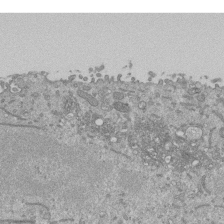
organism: Mouse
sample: ED-1 cell nuclei; centrioles